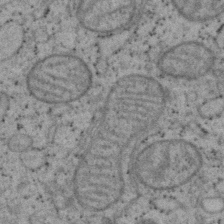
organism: Human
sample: HeLa cells